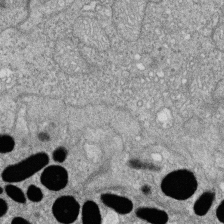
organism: Zebrafish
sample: Cilia; retinal pigment epithelium